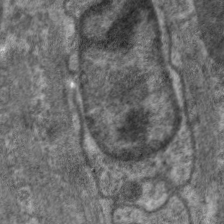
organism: C. elegans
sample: Pharynx